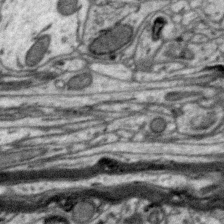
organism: Zebra finch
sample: Brain